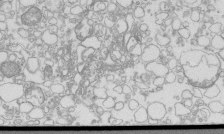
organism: Mouse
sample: Macrophages